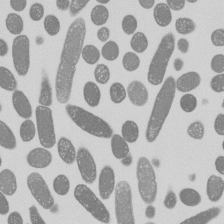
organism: E. coli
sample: Bacterial nucleoid